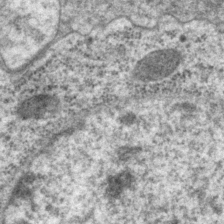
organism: P. pacificus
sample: Pharynx